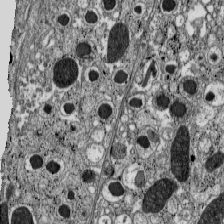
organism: C57BL Mouse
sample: Pancreatic islet